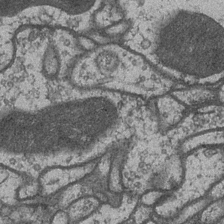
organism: Drosophila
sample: Optic medulla